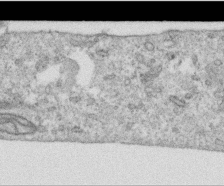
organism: Human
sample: Centriole in RPE cells